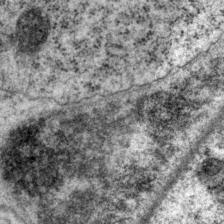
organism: P. pacificus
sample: Pharynx